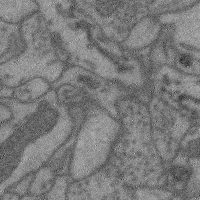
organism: Mouse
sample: Cerebral cortex